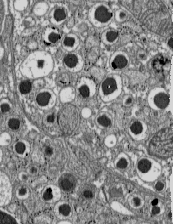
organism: C57BL Mouse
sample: Pancreatic islet